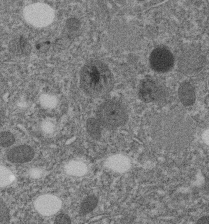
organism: C. elegans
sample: C. elegans embryo early stage